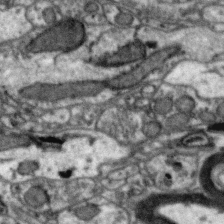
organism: Zebra finch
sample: Brain